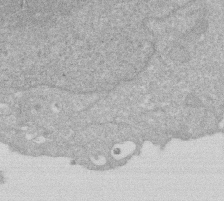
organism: Human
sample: HIV infected U937 cells